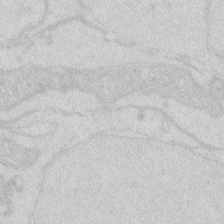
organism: Zebrafish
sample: Macrophage